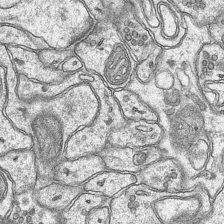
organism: Mouse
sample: CA1 Hippocampus